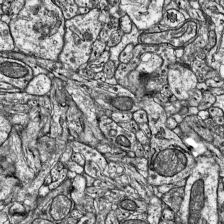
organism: Mouse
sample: Visual Cortex